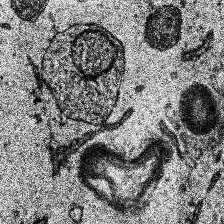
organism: Human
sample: Temporal Lobe